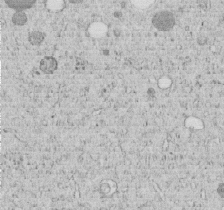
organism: C. elegans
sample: C. elegans embryo early stage